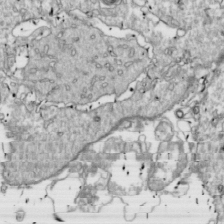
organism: Drosophila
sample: Cell division; meiosis; drosophila spermatocytes